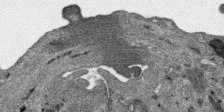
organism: Human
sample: Lung epithelial cells, uninfected (mock) control